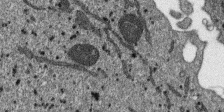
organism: Human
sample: Lung epithelial cells infected with SARS-CoV-2